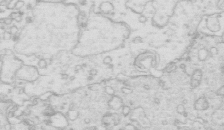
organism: Mouse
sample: Multiciliated cells